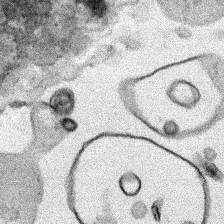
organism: Human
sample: Mitochondria in HCT116 cells